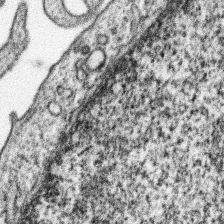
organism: Human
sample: HeLa cells